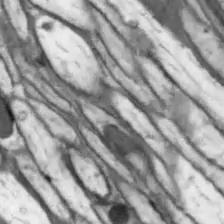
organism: Drosophila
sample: Optic lobe